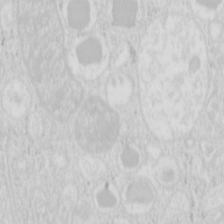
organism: Mouse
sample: Pancreas